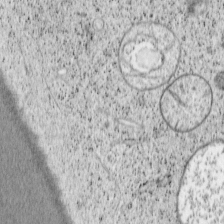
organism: African green monkey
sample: COS-7 cells